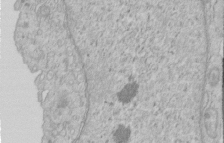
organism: Human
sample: Centriole in RPE cells